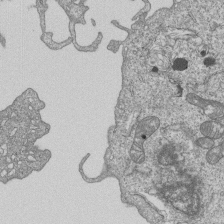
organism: Human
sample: MDA-MB-231 cells